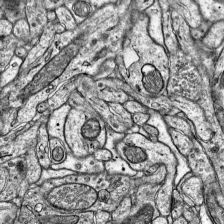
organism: Mouse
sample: Visual Cortex